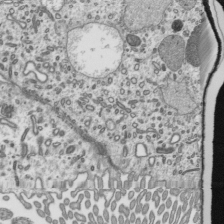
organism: Mouse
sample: Mouse epididymis efferent ductule cilia